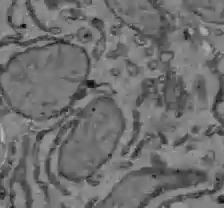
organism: C57BL Mouse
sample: Liver